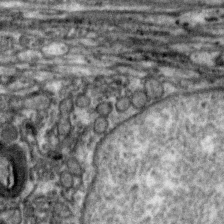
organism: Zebra finch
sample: Brain